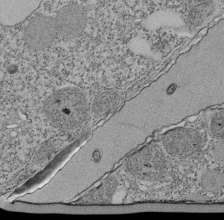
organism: Tetrahymena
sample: Cilia in tetrahymena